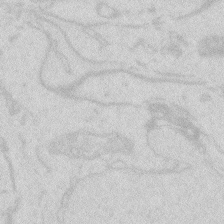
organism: Zebrafish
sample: Macrophage